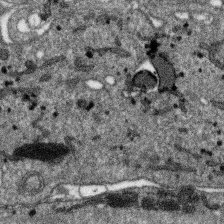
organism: Human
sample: Lung epithelial cells infected with SARS-CoV-2